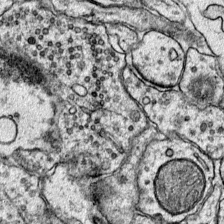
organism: Mouse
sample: Primary visual cortex